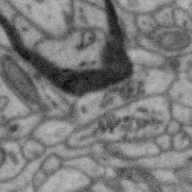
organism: Zebra finch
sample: Brain